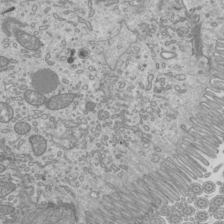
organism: Mouse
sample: Cilia; mouse epididymis